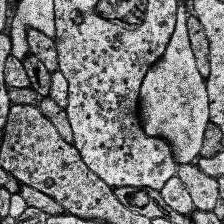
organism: Human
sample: Temporal Lobe